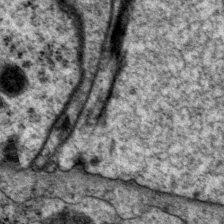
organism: P. pacificus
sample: Pharynx